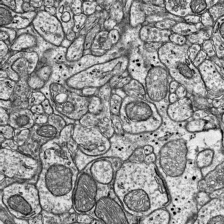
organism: Mouse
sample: Visual Cortex